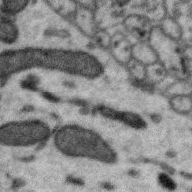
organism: Zebra finch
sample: Brain